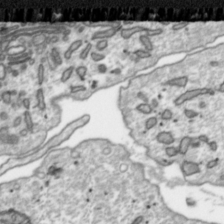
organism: Toxoplasma gondii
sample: Parasites in a vacuole inside a host cell